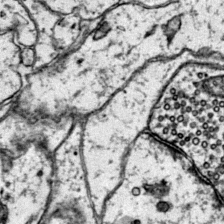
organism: Mouse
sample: Primary visual cortex